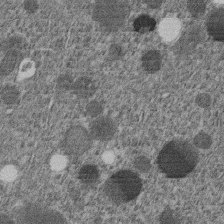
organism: C. elegans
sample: C. elegans embryo early stage